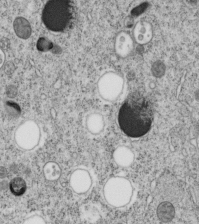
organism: C. elegans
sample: C. elegans embryo early stage